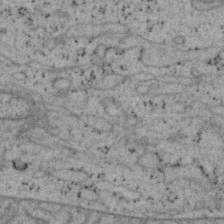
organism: Human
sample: HeLa cells